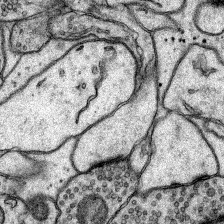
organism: Rat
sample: Hippocampus